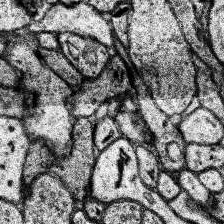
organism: Human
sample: Temporal Lobe